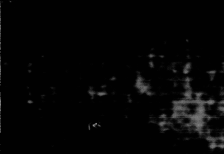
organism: C. elegans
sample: C. elegans embryo early stage